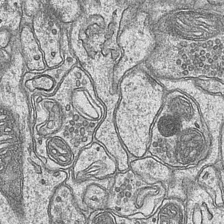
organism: Mouse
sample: CA1 Hippocampus